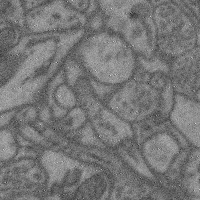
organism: Mouse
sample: Cerebral cortex